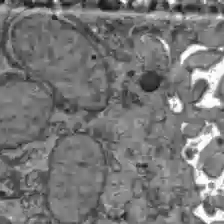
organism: C57BL Mouse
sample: Liver